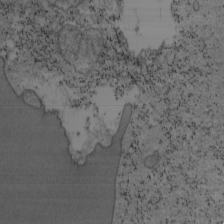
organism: Mouse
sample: OT-I killer T cells with ID8 ovarian cancer cells